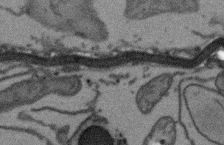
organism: Arabidopsis thaliana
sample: Root tip